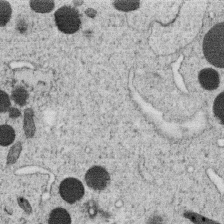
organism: C. elegans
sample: C. elegans oocyte; sperm cells